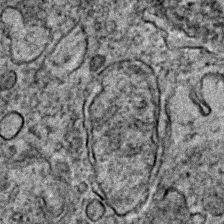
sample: Trachea